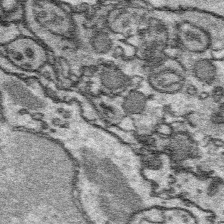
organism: Platynereis dumerilii